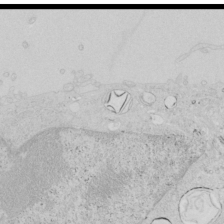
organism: Human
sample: Mitochondria in HCT116 cells